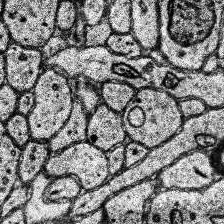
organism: Human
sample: Temporal Lobe